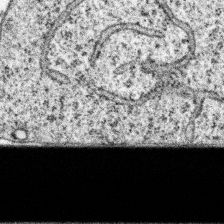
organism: Human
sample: HeLa cells